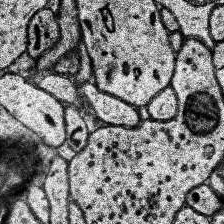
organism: Human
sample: Temporal Lobe